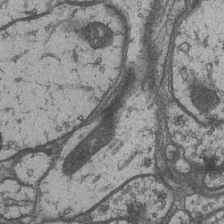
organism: Drosophila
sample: Optic medulla